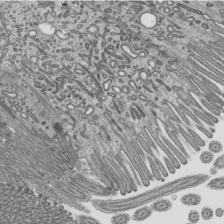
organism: Mouse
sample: Mouse epididymis efferent ductule cilia